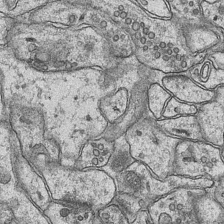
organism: Mouse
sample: CA1 Hippocampus